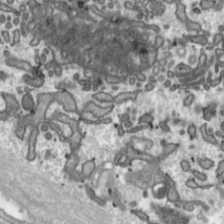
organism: Toxoplasma gondii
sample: Parasites in a vacuole inside a host cell